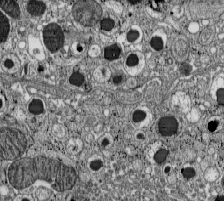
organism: C57BL Mouse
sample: Pancreatic islet